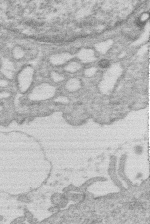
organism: Human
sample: Macrophage cells